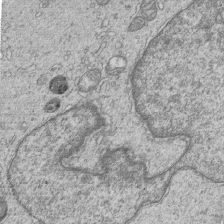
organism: Human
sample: MDA-MB-231 cells